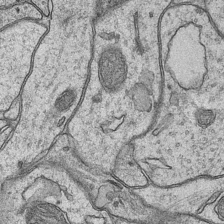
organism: Mouse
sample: CA1 Hippocampus